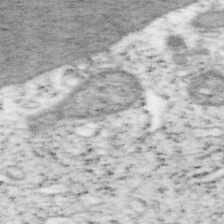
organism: Mouse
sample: OT-I killer T cells with ID8 ovarian cancer cells